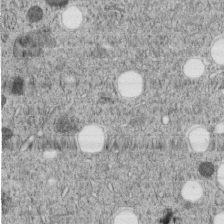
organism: C. elegans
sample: C. elegans embryo early stage